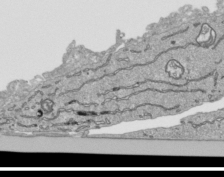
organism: Human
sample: Mitochondria in HCT116 cells